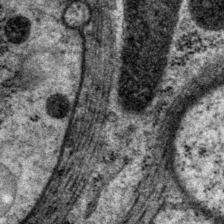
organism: P. pacificus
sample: Pharynx